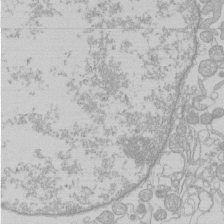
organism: Human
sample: Macrophage cells